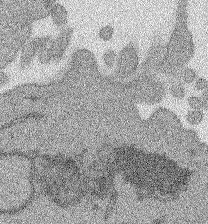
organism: Human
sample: HeLa cells